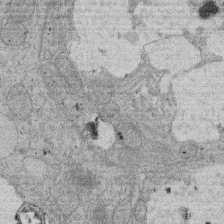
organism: Rat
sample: Salivary granule